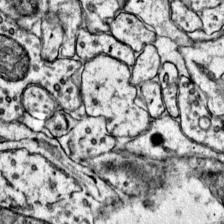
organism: Mouse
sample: Primary visual cortex